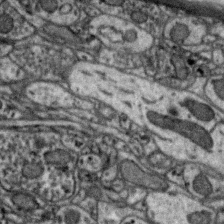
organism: Zebra finch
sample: Brain